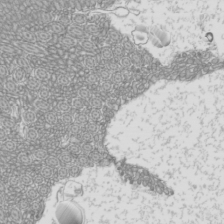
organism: Mouse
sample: Cilia; mouse epididymis